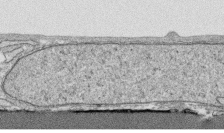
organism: Human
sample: CRL-1474